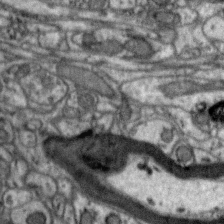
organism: Zebra finch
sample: Brain